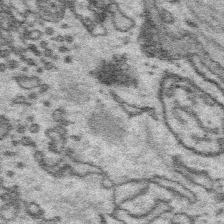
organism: Platynereis dumerilii